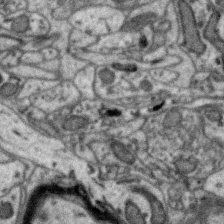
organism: Zebra finch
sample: Brain